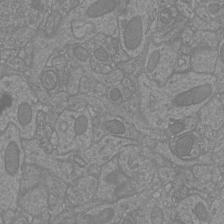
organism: Mouse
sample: Cortical neurons